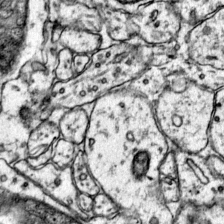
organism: Mouse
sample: Primary visual cortex